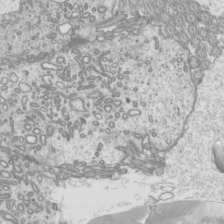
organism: Mouse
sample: Cilia; mouse epididymis